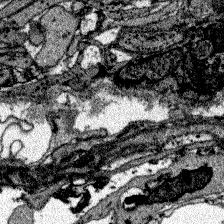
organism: Zebrafish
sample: Larval olfactory bulb